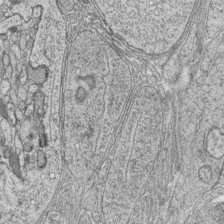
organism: Zebrafish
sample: synaptic ribbons in rod cells and cone cells